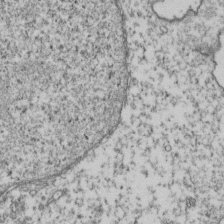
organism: Human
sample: Activated Jurkat CD4+ T cells